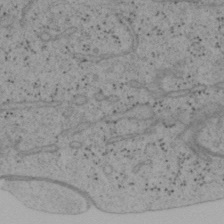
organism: Human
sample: HeLa cells